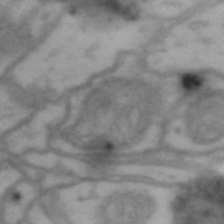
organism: Drosophila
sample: Brain